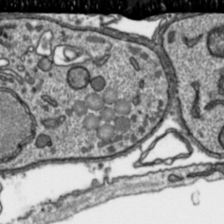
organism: Toxoplasma gondii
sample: Parasites in a vacuole inside a host cell